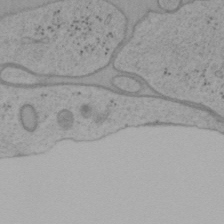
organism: Human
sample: HeLa cells